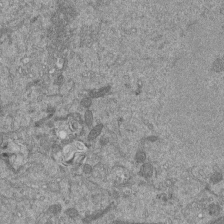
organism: Mouse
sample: ED-1 cell nuclei; centrioles